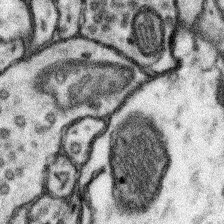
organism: Mouse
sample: Somatosensory cortex neuropil